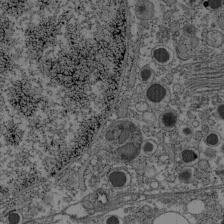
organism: C57BL Mouse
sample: Pancreatic islet